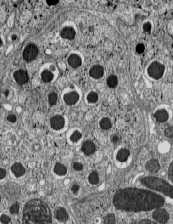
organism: C57BL Mouse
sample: Pancreatic islet